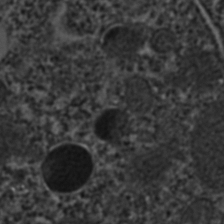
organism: C. elegans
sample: C. elegans embryo